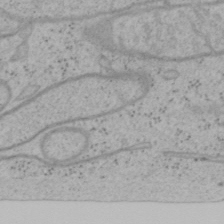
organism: Human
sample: HeLa cells